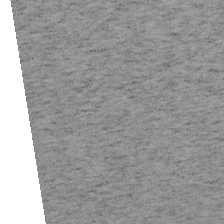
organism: Mouse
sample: OT-I killer T cells with ID8 ovarian cancer cells